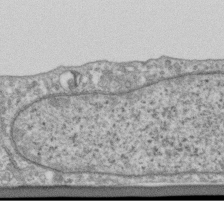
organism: Human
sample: Centriole in RPE cells